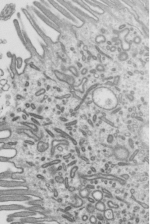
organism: Mouse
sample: Mouse epididymis efferent ductule cilia